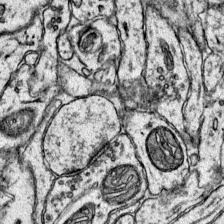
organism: Mouse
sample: Primary visual cortex